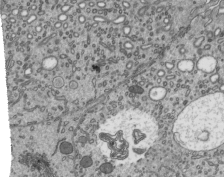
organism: Mouse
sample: Mouse epididymis efferent ductule cilia